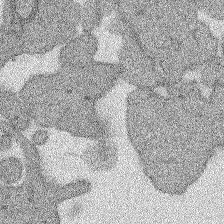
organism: Human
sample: HeLa cells